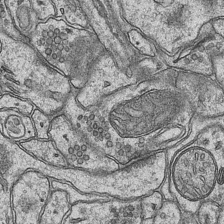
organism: Mouse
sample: CA1 Hippocampus